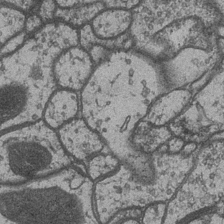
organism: Drosophila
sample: Optic medulla